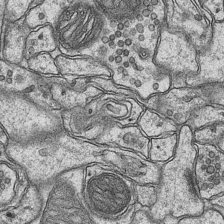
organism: Mouse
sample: CA1 Hippocampus